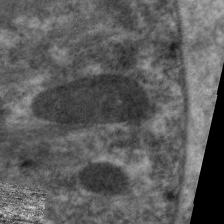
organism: C. elegans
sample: Pharynx